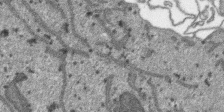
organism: Human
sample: Lung epithelial cells infected with SARS-CoV-2